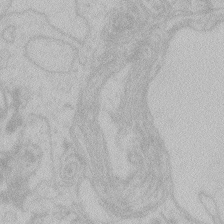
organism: Zebrafish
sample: Macrophage infected with Toxoplasma gondii